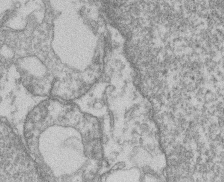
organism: Mouse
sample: T cell stromal cell synapse